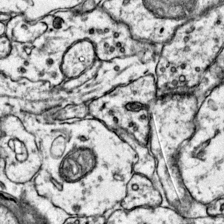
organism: Mouse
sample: Primary visual cortex